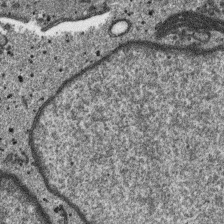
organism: Human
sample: Lung epithelial cells infected with SARS-CoV-2